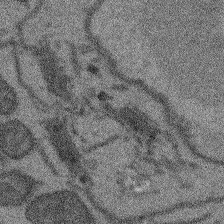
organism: Arabidopsis thaliana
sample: Root tip